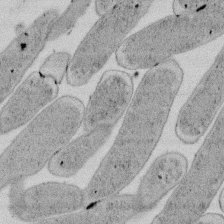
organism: E. coli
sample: Bacterial nucleoid